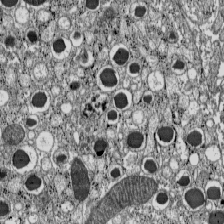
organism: C57BL Mouse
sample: Pancreatic islet